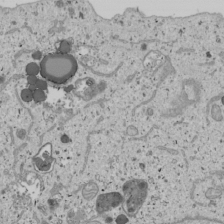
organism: Human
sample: Mitochondria in U2OS cells